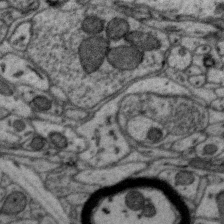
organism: Zebra finch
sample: Brain